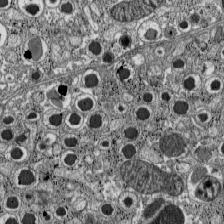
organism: C57BL Mouse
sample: Pancreatic islet